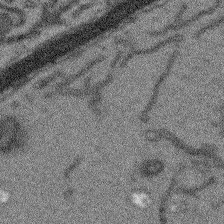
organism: Arabidopsis thaliana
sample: Root tip